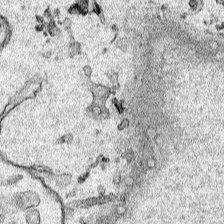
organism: Human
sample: Mitochondria in HCT116 cells